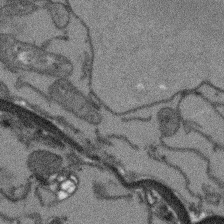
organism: Arabidopsis thaliana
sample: Root tip